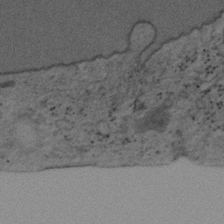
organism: Human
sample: HeLa cells